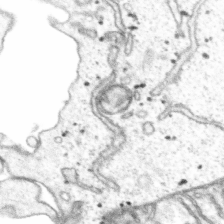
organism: Human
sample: HeLa cells